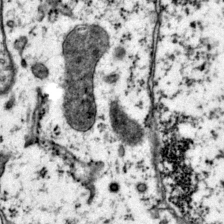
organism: Mouse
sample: Primary visual cortex